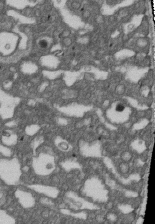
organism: Drosophila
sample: Nephrocyte